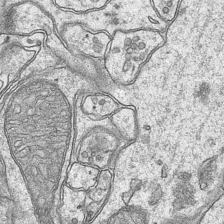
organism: Mouse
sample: CA1 Hippocampus